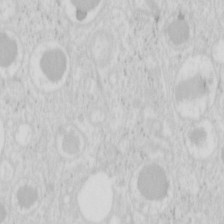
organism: Mouse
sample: Pancreas